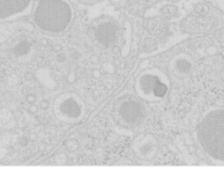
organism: Mouse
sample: Pancreas